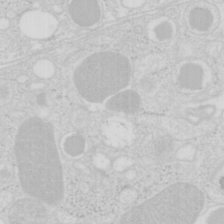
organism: Mouse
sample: Pancreas